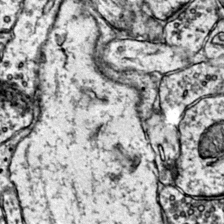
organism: Mouse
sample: Primary visual cortex